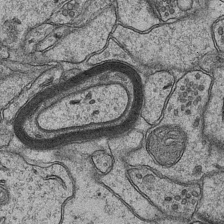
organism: Mouse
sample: CA1 Hippocampus